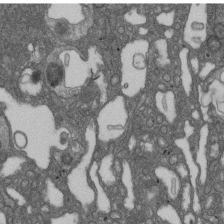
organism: Drosophila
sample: Nephrocyte